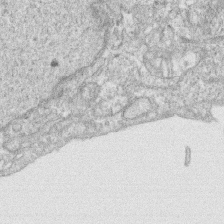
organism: Human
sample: HeLa cell HIV synapse